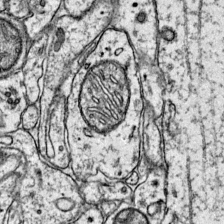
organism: Mouse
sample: Primary visual cortex